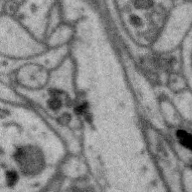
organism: Zebra finch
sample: Brain